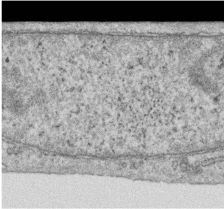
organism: Human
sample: Centriole in RPE cells